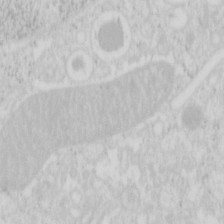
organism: Mouse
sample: Pancreas